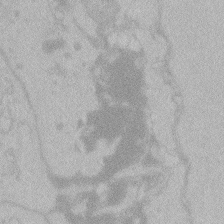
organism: Zebrafish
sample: Macrophage infected with Toxoplasma gondii